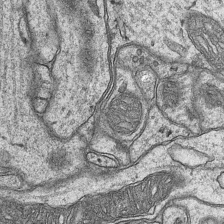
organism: Mouse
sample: CA1 Hippocampus